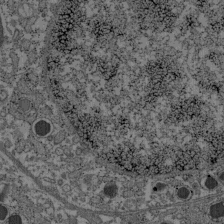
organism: C57BL Mouse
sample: Pancreatic islet